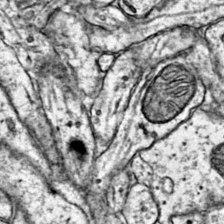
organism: Mouse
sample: Primary visual cortex